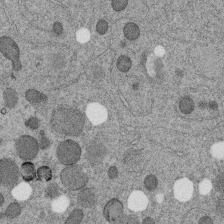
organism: C. elegans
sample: C. elegans embryo early stage